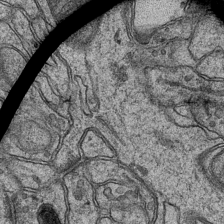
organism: Mouse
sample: CA1 Hippocampus